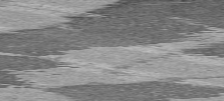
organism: C57BL Mouse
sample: Heart